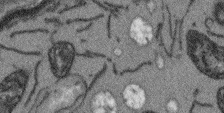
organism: Arabidopsis thaliana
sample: Root tip